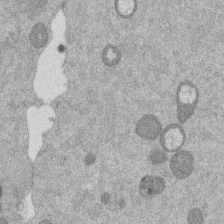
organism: Mouse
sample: Dividing mouse embryo 1 cell stage